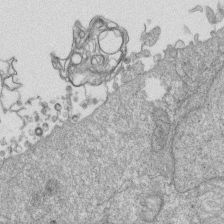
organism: Human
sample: HeLa cell HIV synapse